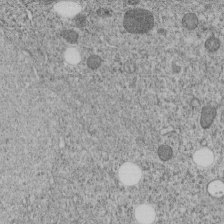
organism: C. elegans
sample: C. elegans embryo early stage